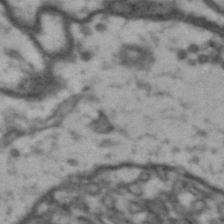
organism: Drosophila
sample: Brain